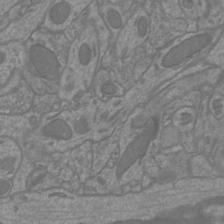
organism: Mouse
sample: Cortical neurons